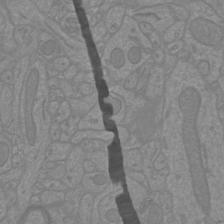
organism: Mouse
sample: Cortical neurons